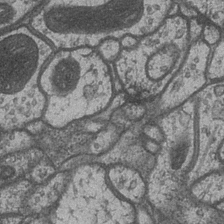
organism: Drosophila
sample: Optic medulla